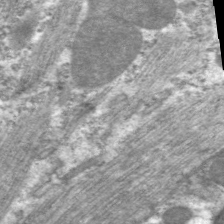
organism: C. elegans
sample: Pharynx